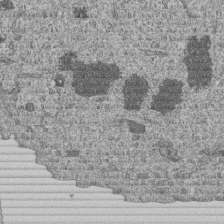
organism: Human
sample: MDA-MB-231 cells